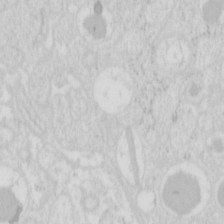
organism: Mouse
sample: Pancreas